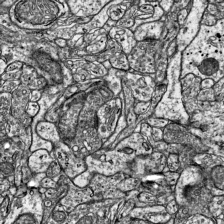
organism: Mouse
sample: Visual Cortex